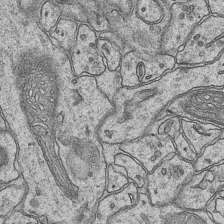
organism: Mouse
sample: CA1 Hippocampus